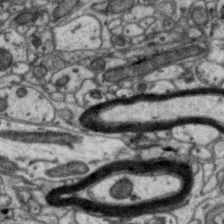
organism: Zebra finch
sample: Brain